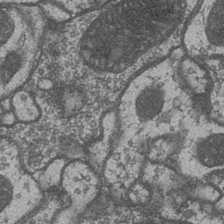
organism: Drosophila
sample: Optic medulla